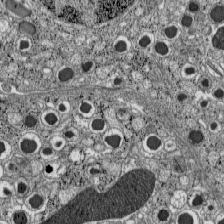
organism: C57BL Mouse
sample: Pancreatic islet